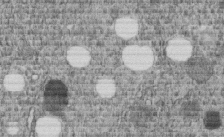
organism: C. elegans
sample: C. elegans embryo early stage